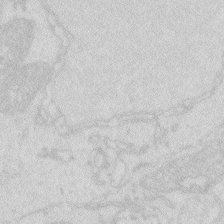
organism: Zebrafish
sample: Macrophage